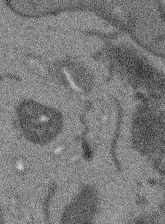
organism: Arabidopsis thaliana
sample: Root tip